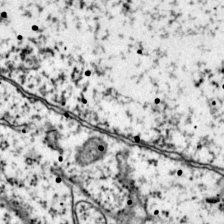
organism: Mouse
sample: Primary visual cortex